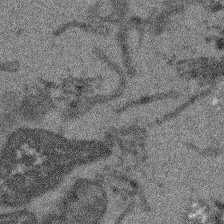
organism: Arabidopsis thaliana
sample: Root tip